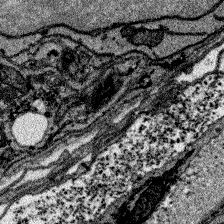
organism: Zebrafish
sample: Larval olfactory bulb